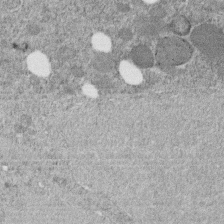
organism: C. elegans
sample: C. elegans embryo early stage